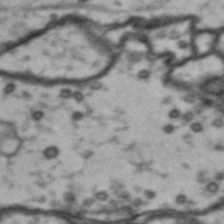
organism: Drosophila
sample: Brain